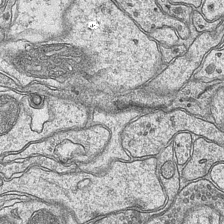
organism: Mouse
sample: CA1 Hippocampus